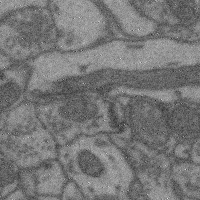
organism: Mouse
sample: Cerebral cortex